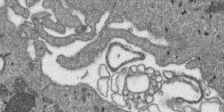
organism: Human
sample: Lung epithelial cells infected with SARS-CoV-2